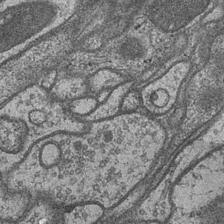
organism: Drosophila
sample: Optic medulla